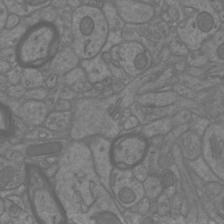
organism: Mouse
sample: Cortical neurons